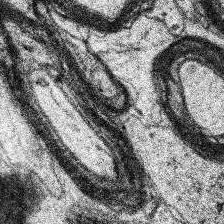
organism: Human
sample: Temporal Lobe